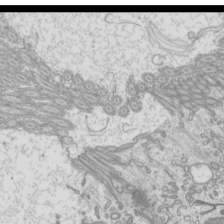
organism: Mouse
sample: Cilia; mouse epididymis